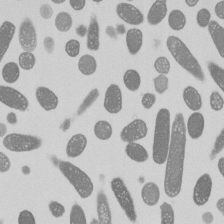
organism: E. coli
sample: Bacterial nucleoid